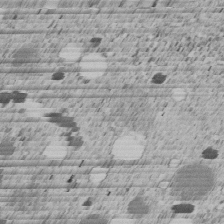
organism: C. elegans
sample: C. elegans embryo early stage